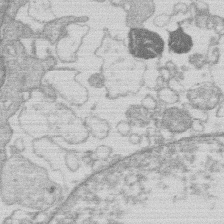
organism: Human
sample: Macrophage cells